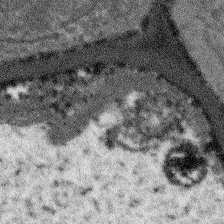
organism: Arabidopsis thaliana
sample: Root tip